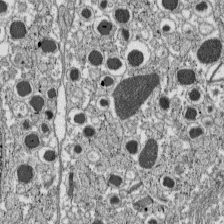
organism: C57BL Mouse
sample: Pancreatic islet